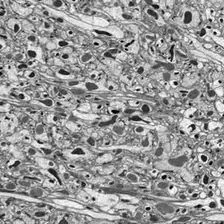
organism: Drosophila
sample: Optic lobe